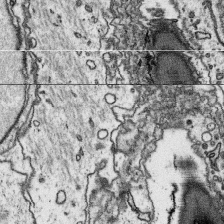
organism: Platynereis dumerilii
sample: Parapodia